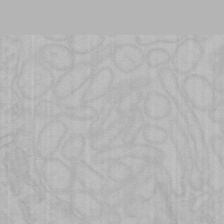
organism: Mouse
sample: Choroid plexus